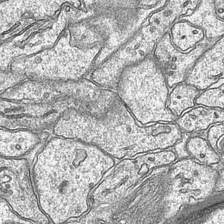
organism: Mouse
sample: CA1 Hippocampus